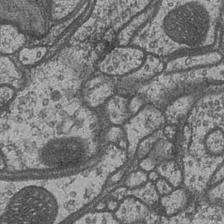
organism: Drosophila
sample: Optic medulla